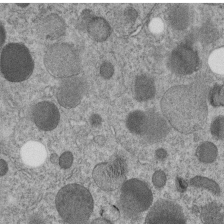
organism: C. elegans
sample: C. elegans embryo early stage